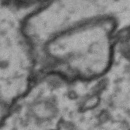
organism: Drosophila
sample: Brain